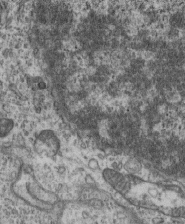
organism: Mouse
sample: Centriole in ependymal cells